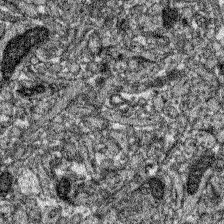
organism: Zebrafish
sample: Larval olfactory bulb